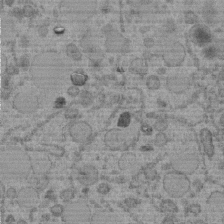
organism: C. elegans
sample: C. elegans embryo early stage